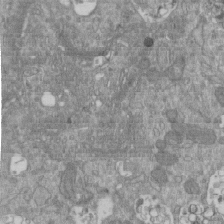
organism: Mouse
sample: ED-1 cell nuclei; centrioles